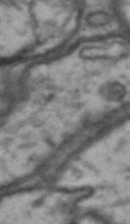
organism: Drosophila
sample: Brain